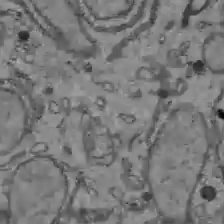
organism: C57BL Mouse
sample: Liver